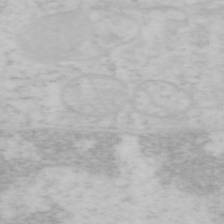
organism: Mouse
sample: OT-I killer T cells with ID8 ovarian cancer cells